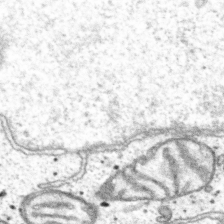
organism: Human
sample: HeLa cells